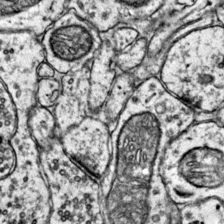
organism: Mouse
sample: Primary visual cortex